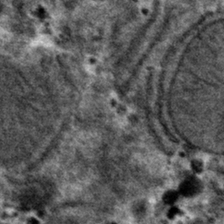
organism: Mouse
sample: Mouse hepatocytes